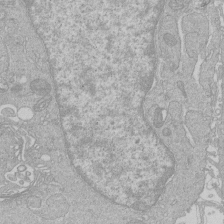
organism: Human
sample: Macrophage cells